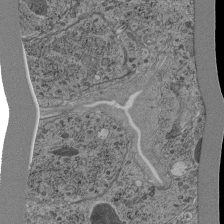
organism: C. elegans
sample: C. elegans pharynx